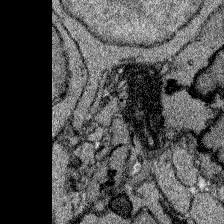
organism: Zebrafish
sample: Larval olfactory bulb